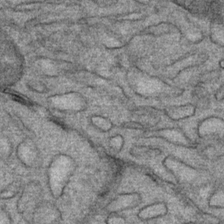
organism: Mouse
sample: Mouse Salivary gland